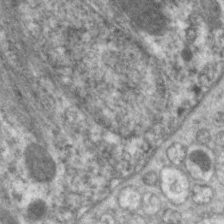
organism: C. elegans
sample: Pharynx